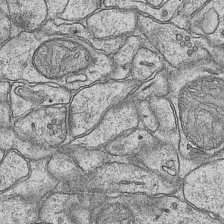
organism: Mouse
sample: CA1 Hippocampus